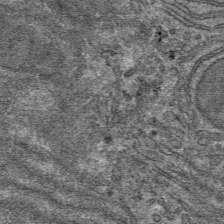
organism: Mouse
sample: Mouse hepatocytes